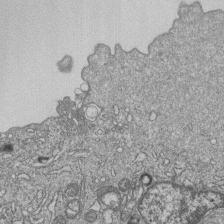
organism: Human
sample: MDA-MB-231 cells